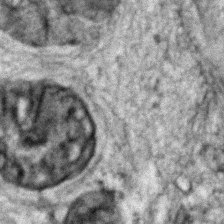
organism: Zebrafish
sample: Zebrafish embryo